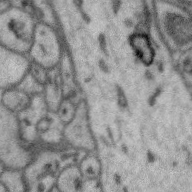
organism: Zebra finch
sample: Brain